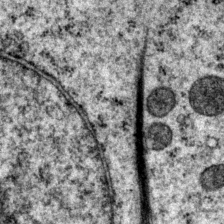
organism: P. pacificus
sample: Pharynx